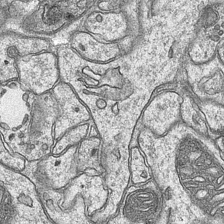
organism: Mouse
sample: CA1 Hippocampus